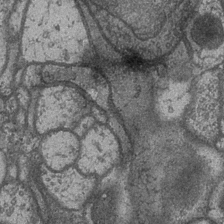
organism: Drosophila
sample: Optic medulla